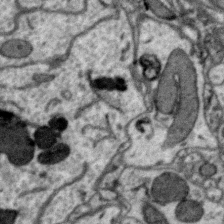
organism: Zebra finch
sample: Brain